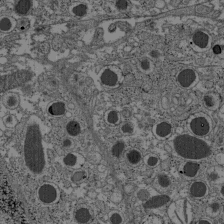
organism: C57BL Mouse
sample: Pancreatic islet